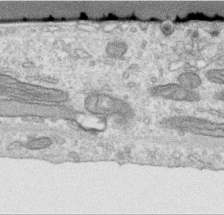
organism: Human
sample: Centriole in RPE cells